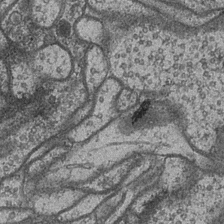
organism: Drosophila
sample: Optic medulla